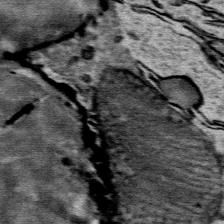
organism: Mouse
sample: Mouse Salivary gland